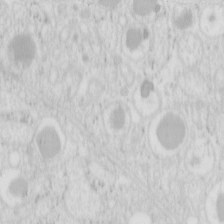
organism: Mouse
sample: Pancreas